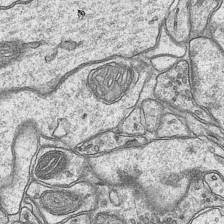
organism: Mouse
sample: CA1 Hippocampus